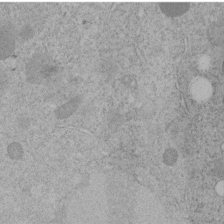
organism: C. elegans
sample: C. elegans embryo early stage